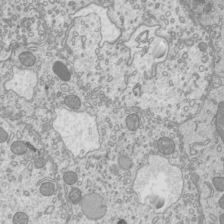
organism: Mouse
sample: Cilia; mouse epididymis